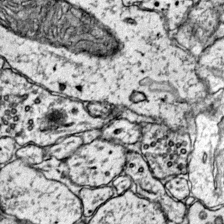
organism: Mouse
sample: Primary visual cortex